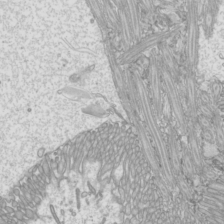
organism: Mouse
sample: Cilia; mouse epididymis